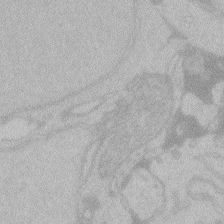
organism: Zebrafish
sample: Macrophage infected with Toxoplasma gondii